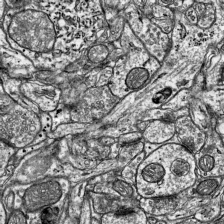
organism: Mouse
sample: Visual Cortex